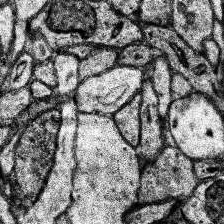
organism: Human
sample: Temporal Lobe